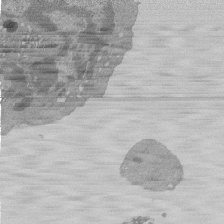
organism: Mouse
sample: Activated Pmel transgenic CD8+ T Cells